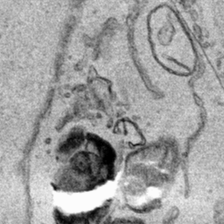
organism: Human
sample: Mitochondria in HCT116 cells